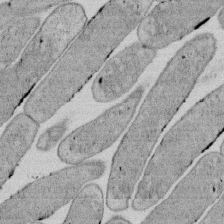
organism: E. coli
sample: Bacterial nucleoid